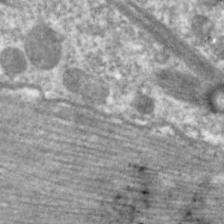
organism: C. elegans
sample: Pharynx